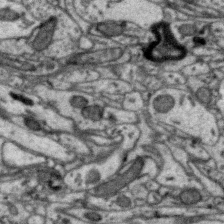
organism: Zebra finch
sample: Brain